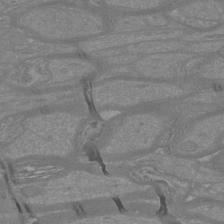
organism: Mouse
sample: Cortical neurons